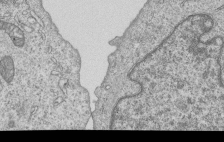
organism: Human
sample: MDA-MB-231 cells